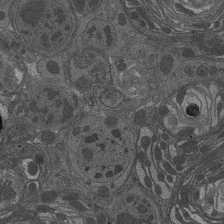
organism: Drosophila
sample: Antenna